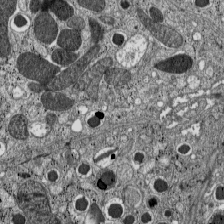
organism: C57BL Mouse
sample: Pancreatic islet